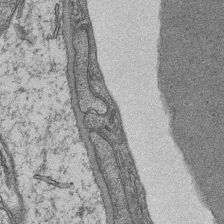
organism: Mouse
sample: CA1 Hippocampus